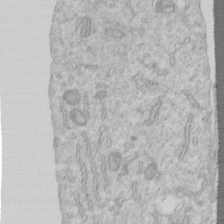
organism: Human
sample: Centriole in RPE cells